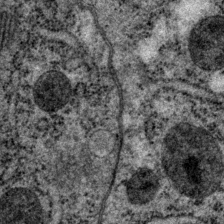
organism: P. pacificus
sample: Pharynx